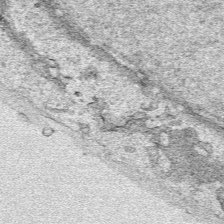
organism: Human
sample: Mitochondria in HCT116 cells